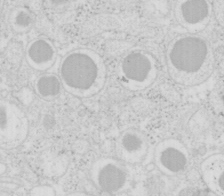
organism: Mouse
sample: Pancreas